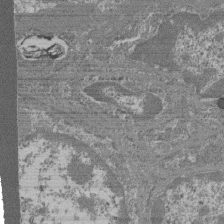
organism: Mouse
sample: Glomerulus